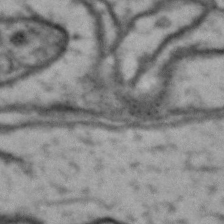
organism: Drosophila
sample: Brain